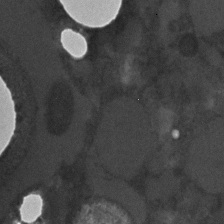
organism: C. elegans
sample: C. elegans embryo